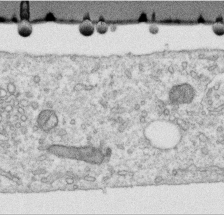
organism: Human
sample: Centriole in RPE cells